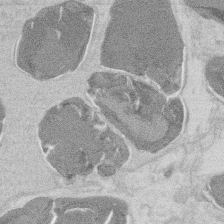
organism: Mouse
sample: T cell stromal cell synapse